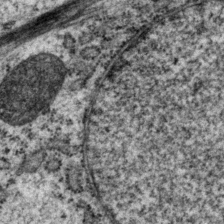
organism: P. pacificus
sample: Pharynx